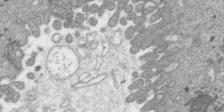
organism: Human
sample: Lung epithelial cells infected with SARS-CoV-2